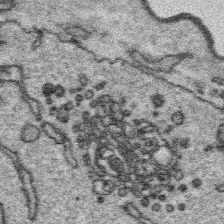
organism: Platynereis dumerilii